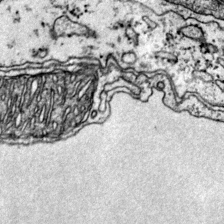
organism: Mouse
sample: Primary visual cortex